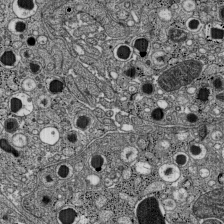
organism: C57BL Mouse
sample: Pancreatic islet